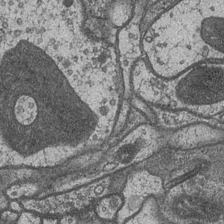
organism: Drosophila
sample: Optic medulla